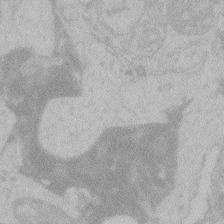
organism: Zebrafish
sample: Macrophage infected with Toxoplasma gondii